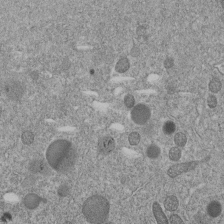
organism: C. elegans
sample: C. elegans embryo early stage